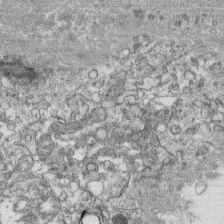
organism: Human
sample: CRL-1474